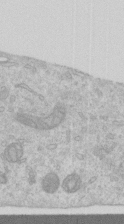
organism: Human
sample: Centriole in RPE cells